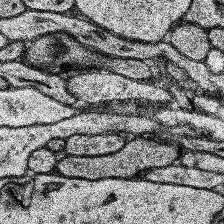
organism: Human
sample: Temporal Lobe